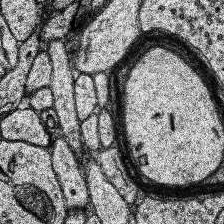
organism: Human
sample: Temporal Lobe